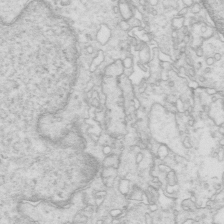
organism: Mouse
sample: Multiciliated cells